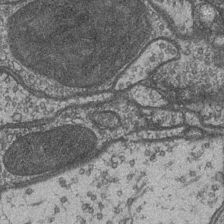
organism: Drosophila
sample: Optic medulla